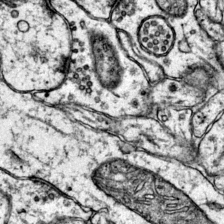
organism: Mouse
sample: Primary visual cortex